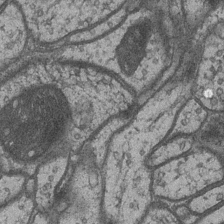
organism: Drosophila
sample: Optic medulla